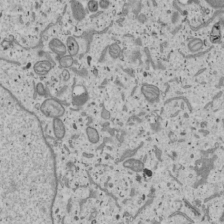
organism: Human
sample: Mitochondria in U2OS cells